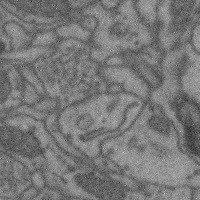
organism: Mouse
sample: Cerebral cortex